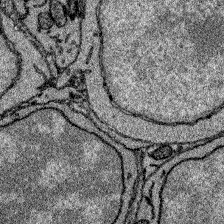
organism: Zebrafish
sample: Larval olfactory bulb